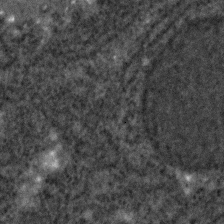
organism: C. elegans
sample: C. elegans embryo